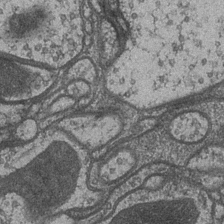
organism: Drosophila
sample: Optic medulla